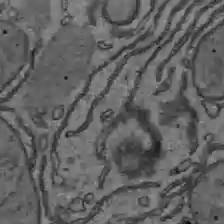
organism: C57BL Mouse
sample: Liver